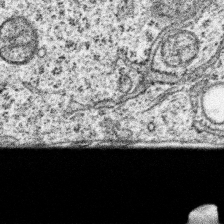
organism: Human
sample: HeLa cells